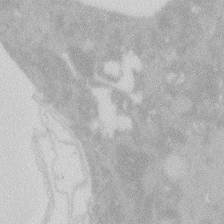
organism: Zebrafish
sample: Macrophage